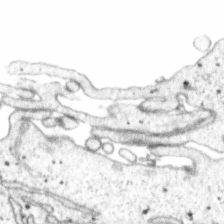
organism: Human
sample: HeLa cells